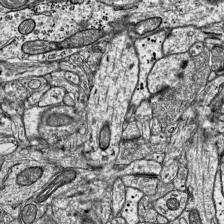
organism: Mouse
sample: Visual Cortex